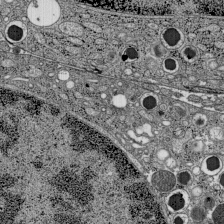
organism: C57BL Mouse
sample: Pancreatic islet